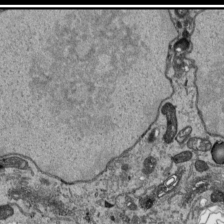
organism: Human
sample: Mitochondria in HCT116 cells